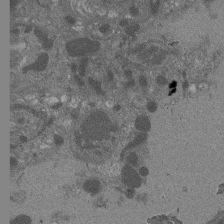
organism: Drosophila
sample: Antenna